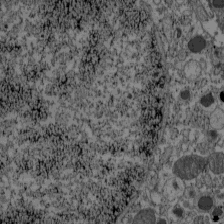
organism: C57BL Mouse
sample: Pancreatic islet